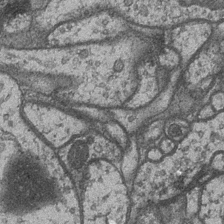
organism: Drosophila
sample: Optic medulla